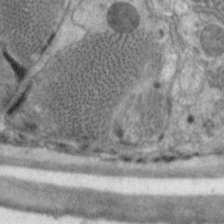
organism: C. elegans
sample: Pharynx